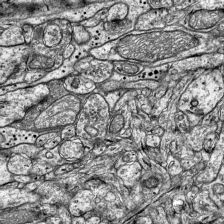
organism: Mouse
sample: Visual Cortex